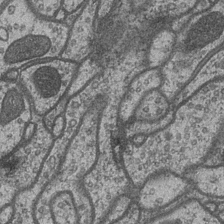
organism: Drosophila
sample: Optic medulla